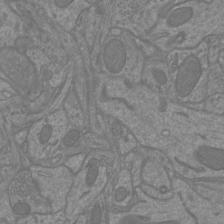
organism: Mouse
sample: Cortical neurons